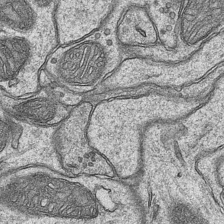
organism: Mouse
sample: CA1 Hippocampus